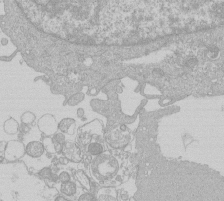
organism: Human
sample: Macrophage cells